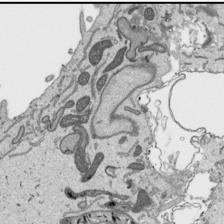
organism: Human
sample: Mitochondria in HCT116 cells